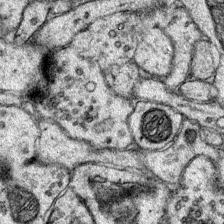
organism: Mouse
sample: Primary visual cortex